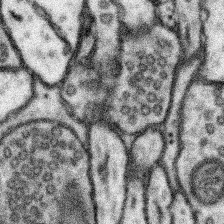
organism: Mouse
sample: Somatosensory cortex neuropil